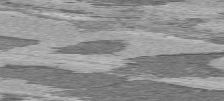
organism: C57BL Mouse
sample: Heart